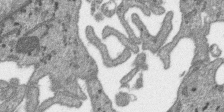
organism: Human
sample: Lung epithelial cells infected with SARS-CoV-2